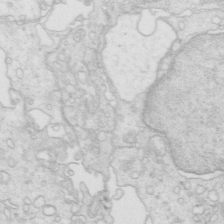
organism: Mouse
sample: Multiciliated cells